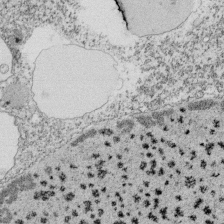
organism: Tetrahymena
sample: Cilia in tetrahymena